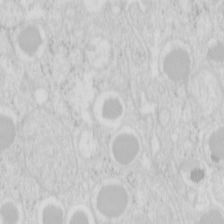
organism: Mouse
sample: Pancreas